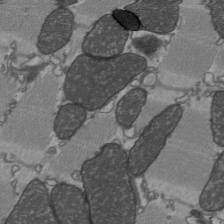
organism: C57BL Mouse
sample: Heart